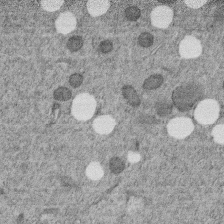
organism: C. elegans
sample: C. elegans embryo early stage